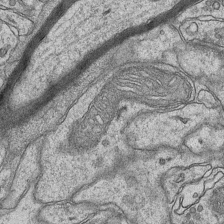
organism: Mouse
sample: CA1 Hippocampus